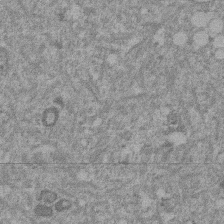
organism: Mouse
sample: Dividing mouse embryo 1 cell stage